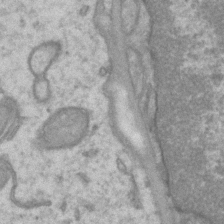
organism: Mouse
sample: CA1 Hippocampus